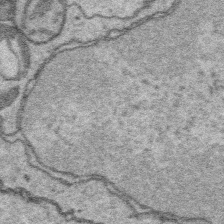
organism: Platynereis dumerilii